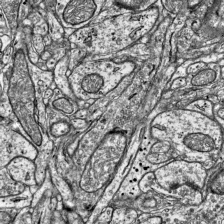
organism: Mouse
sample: Visual Cortex